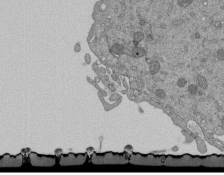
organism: Mouse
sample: ED-1 cell nuclei; centrioles